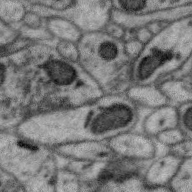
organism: Zebra finch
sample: Brain